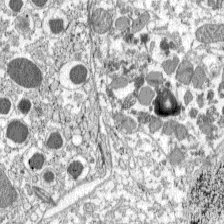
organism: C57BL Mouse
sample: Pancreatic islet